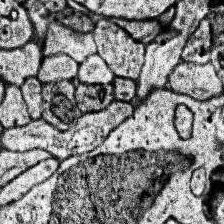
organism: Human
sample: Temporal Lobe